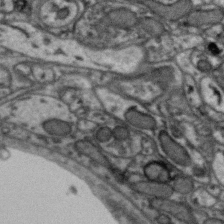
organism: Zebra finch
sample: Brain